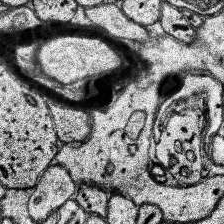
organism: Human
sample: Temporal Lobe